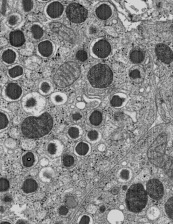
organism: C57BL Mouse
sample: Pancreatic islet